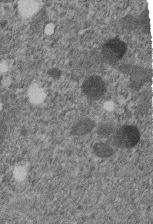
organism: C. elegans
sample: C. elegans embryo early stage